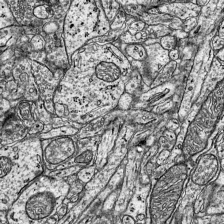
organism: Mouse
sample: Visual Cortex